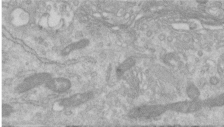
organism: Human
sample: Centriole in RPE cells